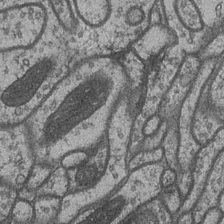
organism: Drosophila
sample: Optic medulla